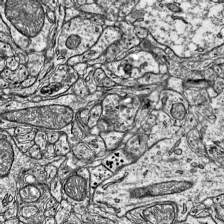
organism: Mouse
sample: Visual Cortex